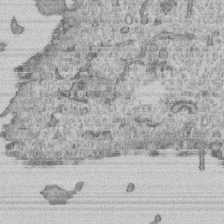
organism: Human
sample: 1205lu cells